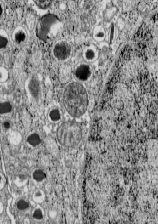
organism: C57BL Mouse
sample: Pancreatic islet